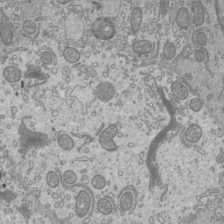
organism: Mouse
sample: Cilia; mouse epididymis